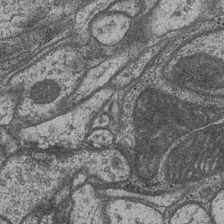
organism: Drosophila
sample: Optic medulla